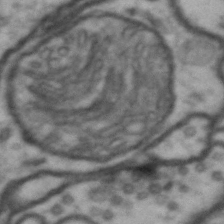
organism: Drosophila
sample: Brain